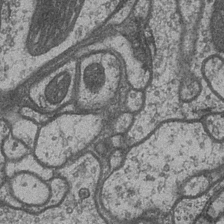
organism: Drosophila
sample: Optic medulla